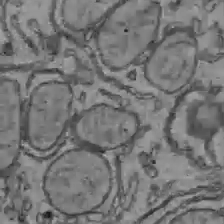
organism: C57BL Mouse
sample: Liver